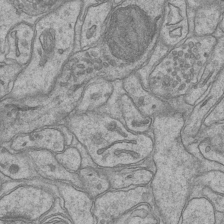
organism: Mouse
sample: CA1 Hippocampus